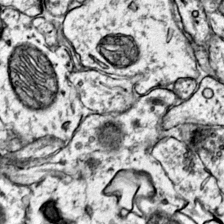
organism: Mouse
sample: Primary visual cortex